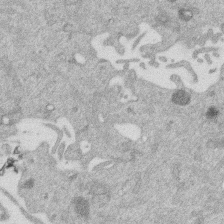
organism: Mouse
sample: Dividing mouse embryo 1 cell stage